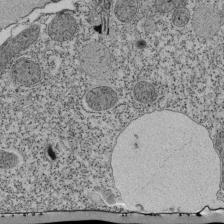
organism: Tetrahymena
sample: Cilia in tetrahymena